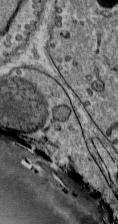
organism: Mouse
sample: Mouse Salivary gland